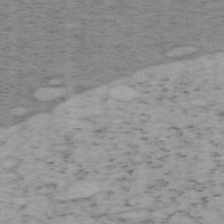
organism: Mouse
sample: OT-I killer T cells with ID8 ovarian cancer cells